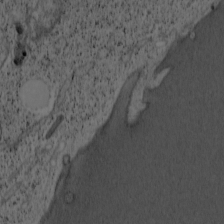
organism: African green monkey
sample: COS-7 cells